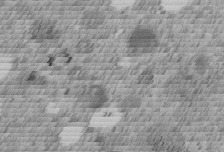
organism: C. elegans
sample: C. elegans embryo early stage